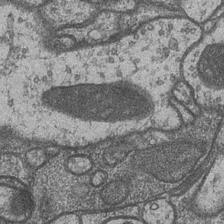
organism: Drosophila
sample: Optic medulla